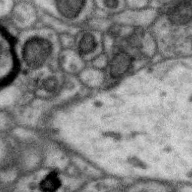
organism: Zebra finch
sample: Brain